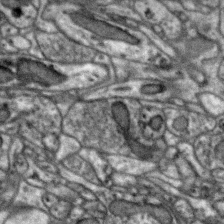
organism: Zebra finch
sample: Brain